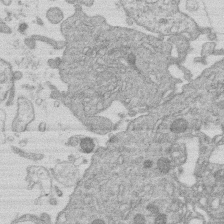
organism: Human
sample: Macrophage cells